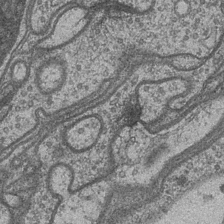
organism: Drosophila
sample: Optic medulla